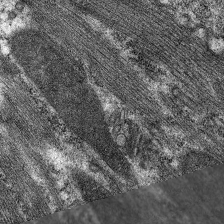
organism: C. elegans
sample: Pharynx